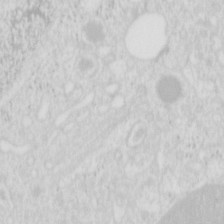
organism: Mouse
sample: Pancreas